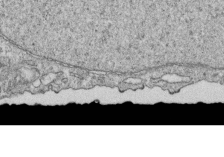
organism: Human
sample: HeLa cell HIV synapse